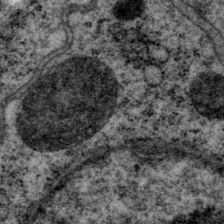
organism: P. pacificus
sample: Pharynx